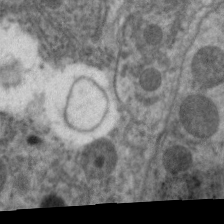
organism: C. elegans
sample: Pharynx